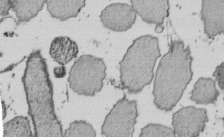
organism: E. coli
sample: Bacterial nucleoid